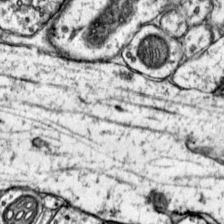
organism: Mouse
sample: Primary visual cortex